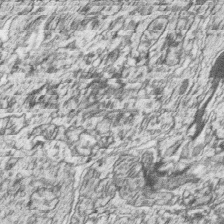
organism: Zebrafish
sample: synaptic ribbons in rod cells and cone cells